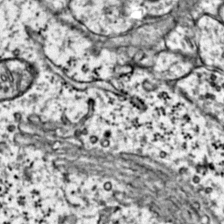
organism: Mouse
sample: Primary visual cortex